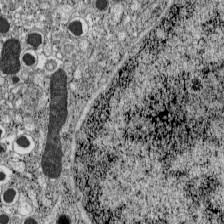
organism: C57BL Mouse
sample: Pancreatic islet